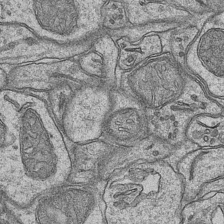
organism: Mouse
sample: CA1 Hippocampus